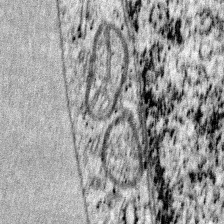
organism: Human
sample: HeLa cells